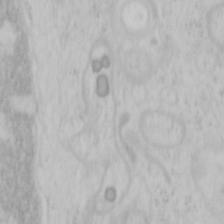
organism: Mouse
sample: OT-I killer T cells with ID8 ovarian cancer cells